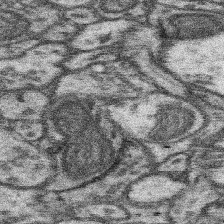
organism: Mouse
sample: Somatosensory cortex neuropil